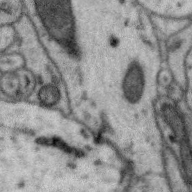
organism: Zebra finch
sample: Brain